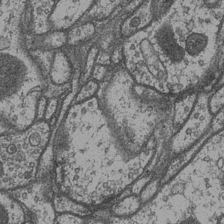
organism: Drosophila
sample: Optic medulla